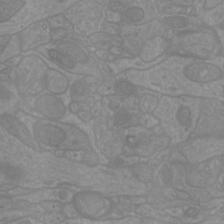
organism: Mouse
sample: Cortical neurons